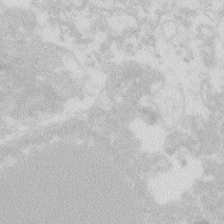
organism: Zebrafish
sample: Macrophage